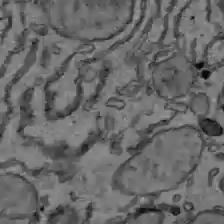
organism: C57BL Mouse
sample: Liver